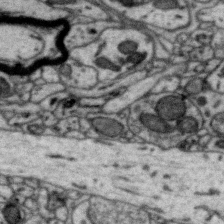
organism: Zebra finch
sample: Brain